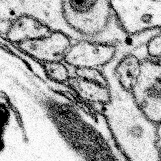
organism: Mouse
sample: Somatosensory cortex neuropil